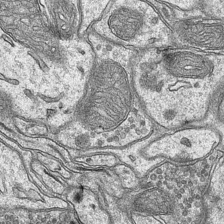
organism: Mouse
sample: CA1 Hippocampus